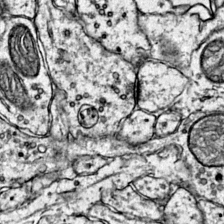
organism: Mouse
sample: Primary visual cortex